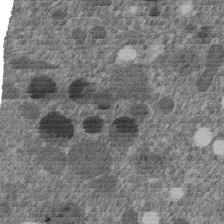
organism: C. elegans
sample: C. elegans embryo early stage